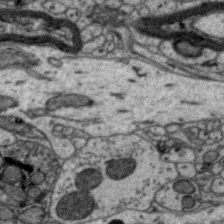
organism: Zebra finch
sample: Brain